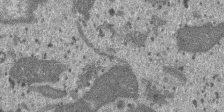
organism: Human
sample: Lung epithelial cells infected with SARS-CoV-2